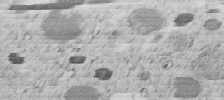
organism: C. elegans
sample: C. elegans embryo early stage